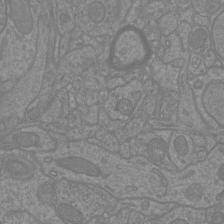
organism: Mouse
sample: Cortical neurons